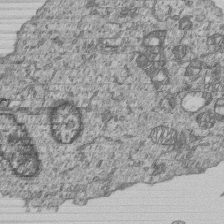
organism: Human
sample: MDA-MB-231 cells